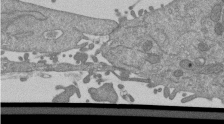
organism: Mouse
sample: ED-1 cell nuclei; centrioles